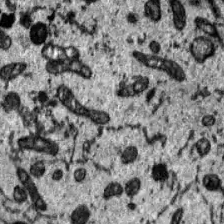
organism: Human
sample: HeLa cells